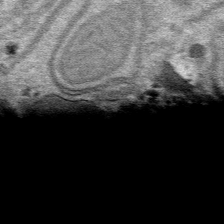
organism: Mouse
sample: Mouse hepatocytes